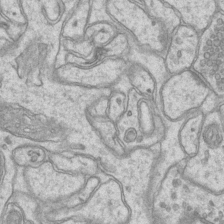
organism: Mouse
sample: CA1 Hippocampus